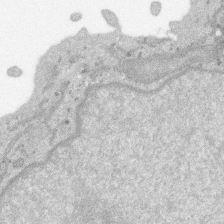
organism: Human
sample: Lung epithelial cells infected with SARS-CoV-2